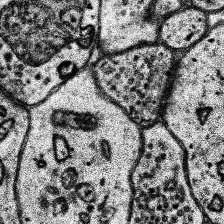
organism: Human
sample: Temporal Lobe